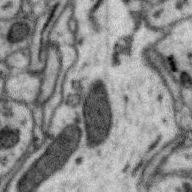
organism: Zebra finch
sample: Brain